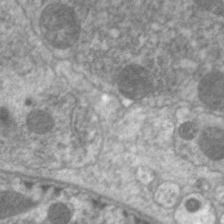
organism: C. elegans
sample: Pharynx